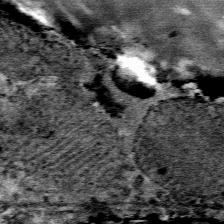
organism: Mouse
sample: Mouse Salivary gland